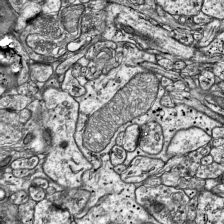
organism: Mouse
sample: Visual Cortex